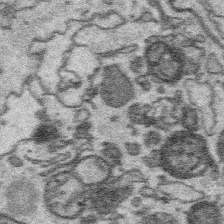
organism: Platynereis dumerilii